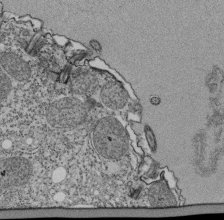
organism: Tetrahymena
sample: Cilia in tetrahymena